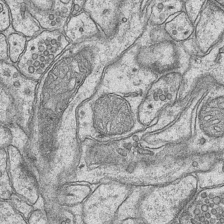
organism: Mouse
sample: CA1 Hippocampus